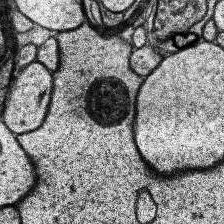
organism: Human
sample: Temporal Lobe